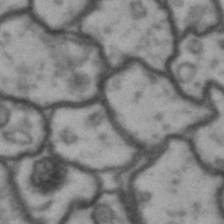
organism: Drosophila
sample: Brain